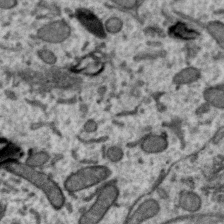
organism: Zebra finch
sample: Brain